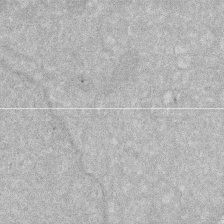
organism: Human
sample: HIV infected U937 cells